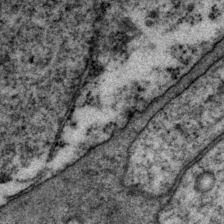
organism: P. pacificus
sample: Pharynx